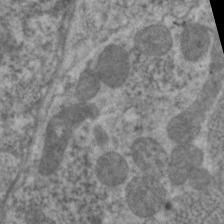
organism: C. elegans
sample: Pharynx